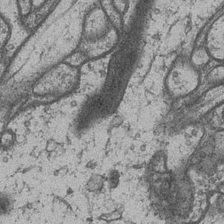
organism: Drosophila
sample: Optic medulla